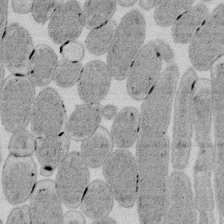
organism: E. coli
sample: Bacterial nucleoid